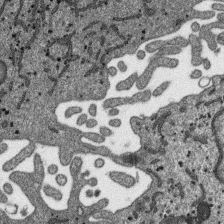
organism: Human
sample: Lung epithelial cells infected with SARS-CoV-2